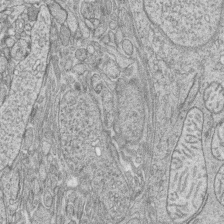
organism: Zebrafish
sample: synaptic ribbons in rod cells and cone cells